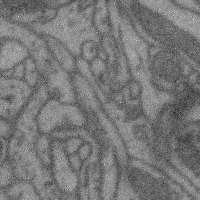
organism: Mouse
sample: Cerebral cortex